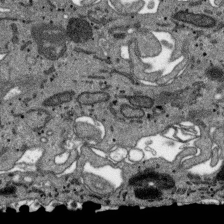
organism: Human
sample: Lung epithelial cells, uninfected (mock) control